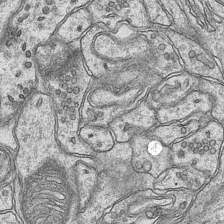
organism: Mouse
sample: CA1 Hippocampus